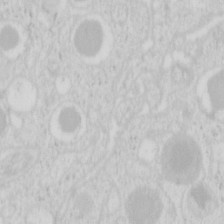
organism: Mouse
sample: Pancreas